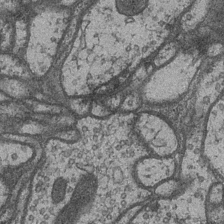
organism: Drosophila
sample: Optic medulla